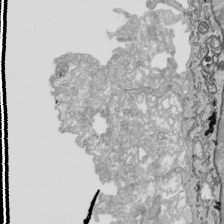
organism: Human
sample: Mitochondria in HCT116 cells